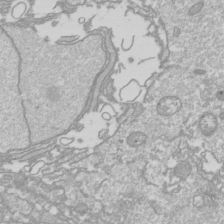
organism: Drosophila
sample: Cell division; meiosis; drosophila spermatocytes